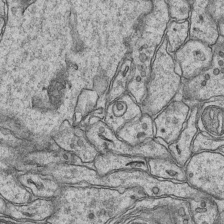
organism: Mouse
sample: CA1 Hippocampus